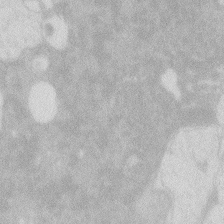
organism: Zebrafish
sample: Macrophage